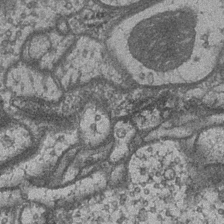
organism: Drosophila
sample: Optic medulla